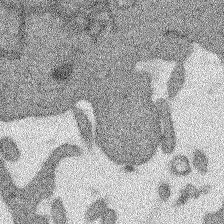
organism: Human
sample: HeLa cells